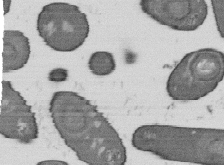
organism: B. subtilis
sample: Bacterial spore